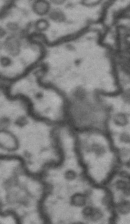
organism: Drosophila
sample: Brain